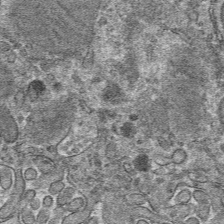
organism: Mouse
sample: Mouse hepatocytes